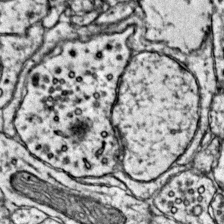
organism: Mouse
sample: Primary visual cortex